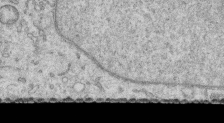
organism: Human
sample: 1205lu cells